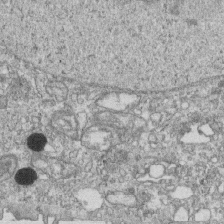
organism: Human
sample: HeLa cell HIV synapse